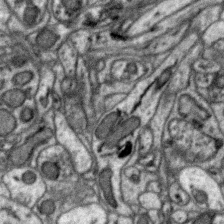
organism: Zebra finch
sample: Brain